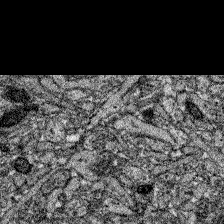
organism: Zebrafish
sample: Larval olfactory bulb